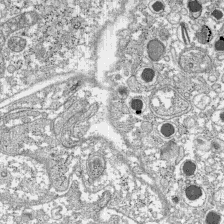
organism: C57BL Mouse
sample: Pancreatic islet